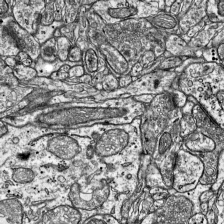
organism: Mouse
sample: Visual Cortex